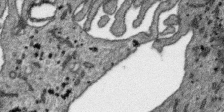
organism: Human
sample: Lung epithelial cells, uninfected (mock) control